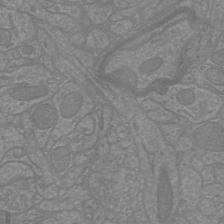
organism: Mouse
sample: Cortical neurons